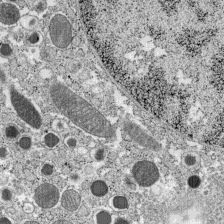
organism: C57BL Mouse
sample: Pancreatic islet